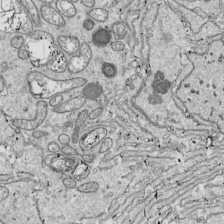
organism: Drosophila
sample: Cell division; meiosis; drosophila spermatocytes